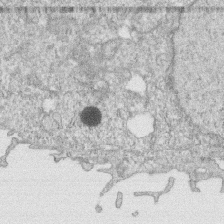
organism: Human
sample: HeLa cell HIV synapse